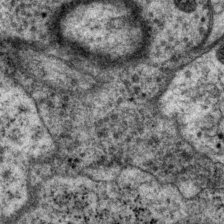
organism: P. pacificus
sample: Pharynx